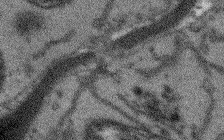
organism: Arabidopsis thaliana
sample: Root tip